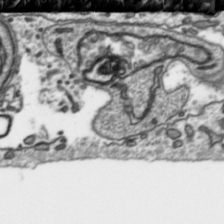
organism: Toxoplasma gondii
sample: Parasites in a vacuole inside a host cell